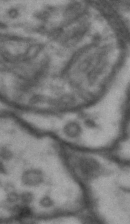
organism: Drosophila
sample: Brain